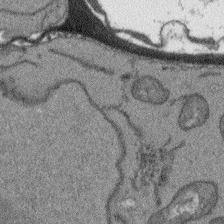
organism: Arabidopsis thaliana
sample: Root tip